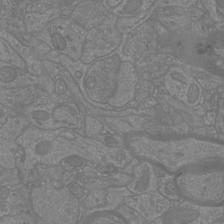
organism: Mouse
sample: Cortical neurons